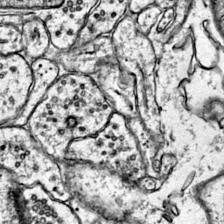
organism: Mouse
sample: Primary visual cortex